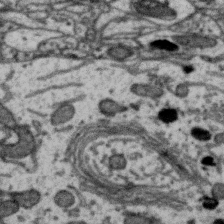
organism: Zebra finch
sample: Brain